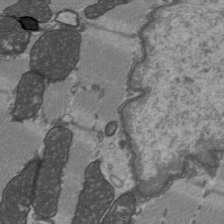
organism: C57BL Mouse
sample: Heart